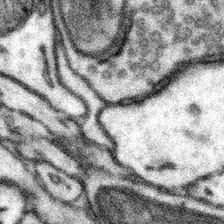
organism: Mouse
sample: Somatosensory cortex neuropil